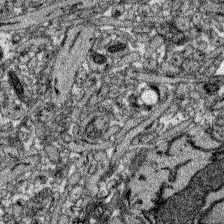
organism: Zebrafish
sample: Larval olfactory bulb